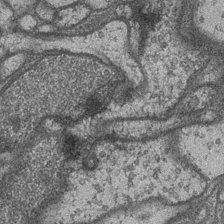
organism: Drosophila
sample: Optic medulla